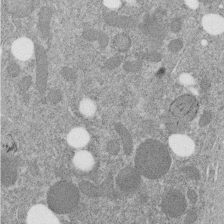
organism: C. elegans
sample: C. elegans embryo early stage